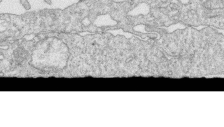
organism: Human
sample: HeLa cell HIV synapse